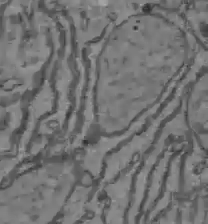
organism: C57BL Mouse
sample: Liver